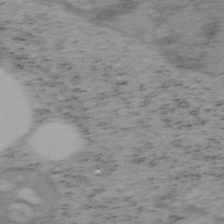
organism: Mouse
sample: OT-I killer T cells with ID8 ovarian cancer cells